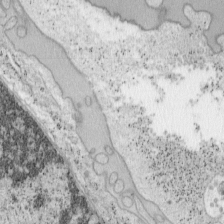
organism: Mouse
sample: OT-I killer T cells with ID8 ovarian cancer cells